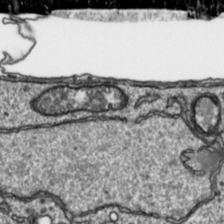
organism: Toxoplasma gondii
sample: Parasites in a vacuole inside a host cell